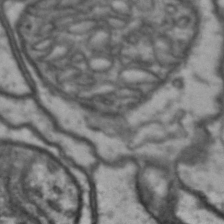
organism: Drosophila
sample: Brain